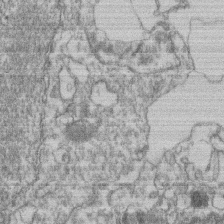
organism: Mouse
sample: T cell stromal cell synapse